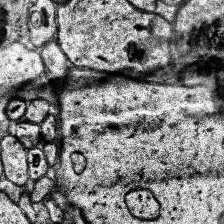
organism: Human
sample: Temporal Lobe